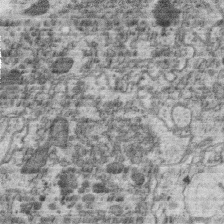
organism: C. elegans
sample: C. elegans oocyte; sperm cells